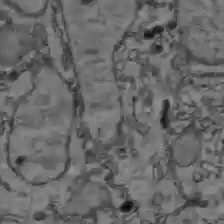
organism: C57BL Mouse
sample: Liver